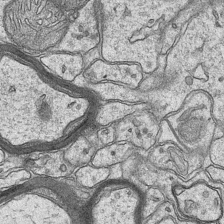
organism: Mouse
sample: CA1 Hippocampus